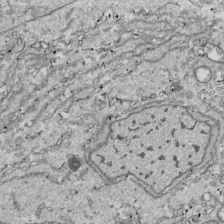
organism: Drosophila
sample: Cell division; meiosis; drosophila spermatocytes